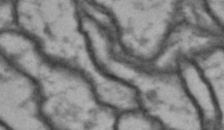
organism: Drosophila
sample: Brain